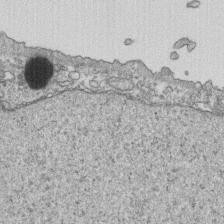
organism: Human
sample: HeLa cell HIV synapse